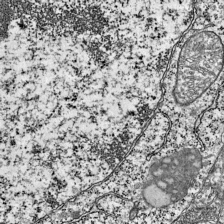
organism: Mouse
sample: Visual Cortex